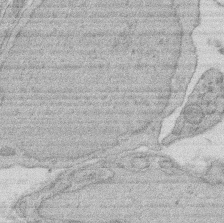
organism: Rat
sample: Salivary granule